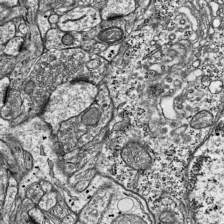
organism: Mouse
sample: Visual Cortex